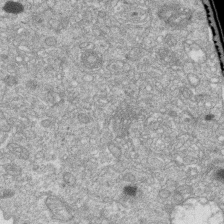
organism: Human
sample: HeLa cell HIV synapse